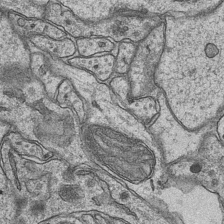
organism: Mouse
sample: CA1 Hippocampus